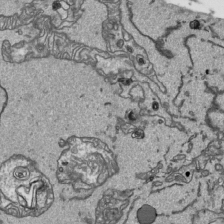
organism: Human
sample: Mitochondria in HCT116 cells